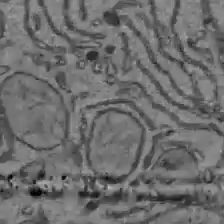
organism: C57BL Mouse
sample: Liver